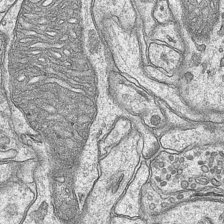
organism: Mouse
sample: CA1 Hippocampus